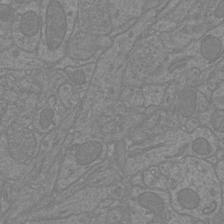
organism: Mouse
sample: Cortical neurons